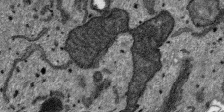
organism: Human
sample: Lung epithelial cells, uninfected (mock) control